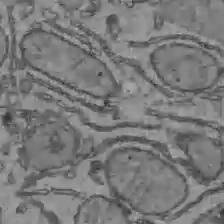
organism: C57BL Mouse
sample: Liver